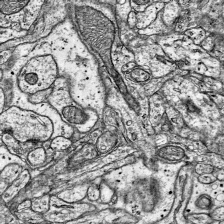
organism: Mouse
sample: Visual Cortex